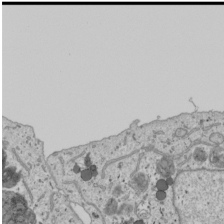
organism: Human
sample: Mitochondria in U2OS cells